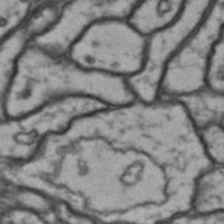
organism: Drosophila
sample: Brain